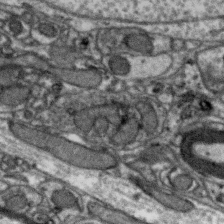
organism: Zebra finch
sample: Brain